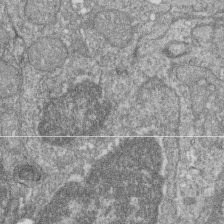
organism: Zebrafish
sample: Cilia; retinal pigment epithelium